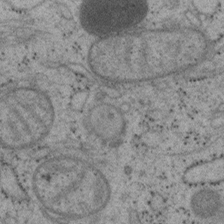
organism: Human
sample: HeLa cells